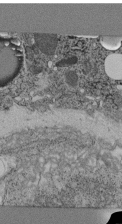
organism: C. elegans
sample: C. elegans pharynx